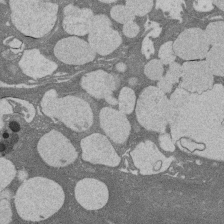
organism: Rat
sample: Salivary granule